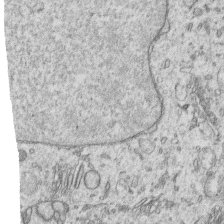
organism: Human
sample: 1205lu cells